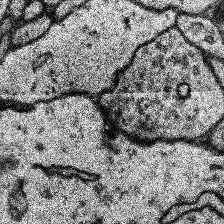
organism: Human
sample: Temporal Lobe